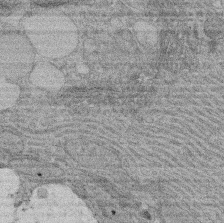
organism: Rat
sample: Salivary granule